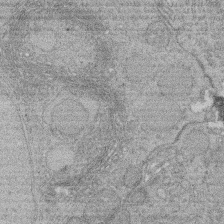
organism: Rat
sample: Salivary granule